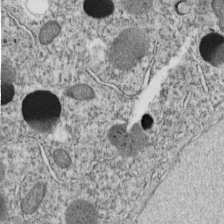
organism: C. elegans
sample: C. elegans embryo early stage